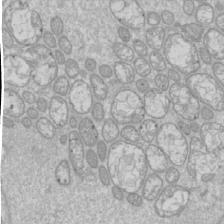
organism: Drosophila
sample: Cell division; meiosis; drosophila spermatocytes